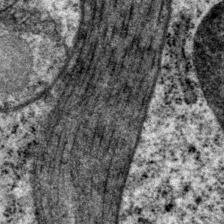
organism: P. pacificus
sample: Pharynx